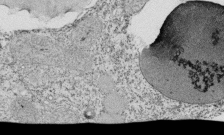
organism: Tetrahymena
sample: Cilia in tetrahymena